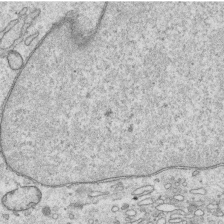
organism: Human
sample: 1205lu cells